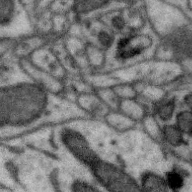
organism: Zebra finch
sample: Brain